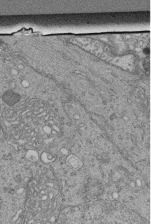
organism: Human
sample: Retinal organoid Rod and Cone cells